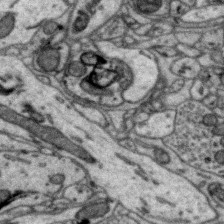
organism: Zebra finch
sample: Brain